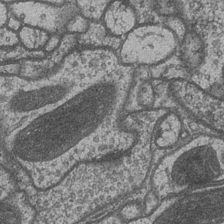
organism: Drosophila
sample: Optic medulla